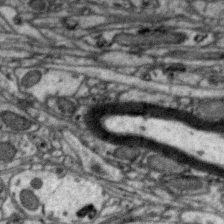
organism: Zebra finch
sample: Brain